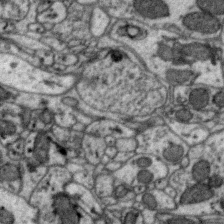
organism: Zebra finch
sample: Brain